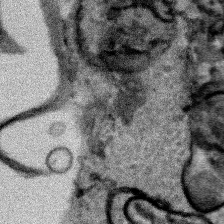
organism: Human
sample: Mitochondria in HCT116 cells